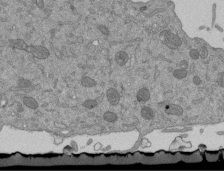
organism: Mouse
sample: ED-1 cell nuclei; centrioles